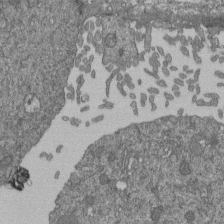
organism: Human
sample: Retinal organoid Rod and Cone cells